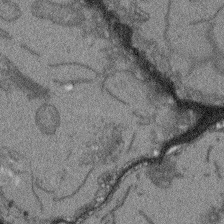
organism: Arabidopsis thaliana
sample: Root tip